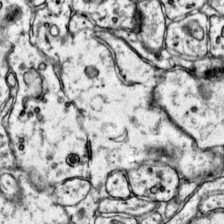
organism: Mouse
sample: Primary visual cortex